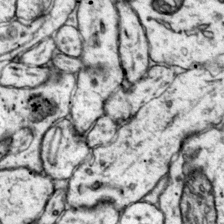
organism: Mouse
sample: Primary visual cortex